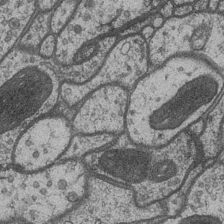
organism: Drosophila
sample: Optic medulla